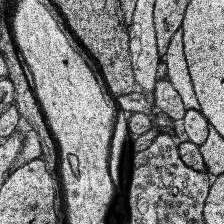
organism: Human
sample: Temporal Lobe